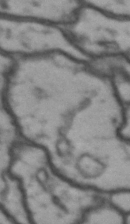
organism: Drosophila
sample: Brain